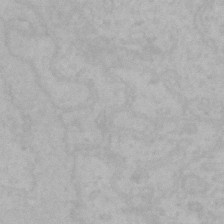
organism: Mouse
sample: Choroid plexus